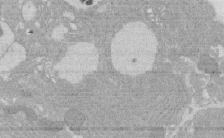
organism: Rat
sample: Salivary granule